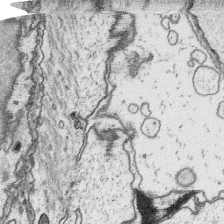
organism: Platynereis dumerilii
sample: Parapodia